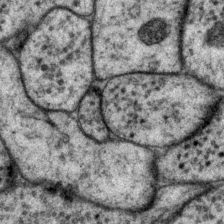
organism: P. pacificus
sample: Pharynx